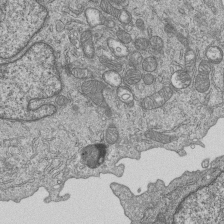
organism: Human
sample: MDA-MB-231 cells